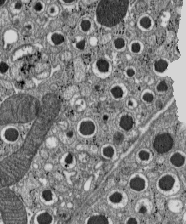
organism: C57BL Mouse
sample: Pancreatic islet